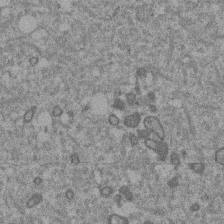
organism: Mouse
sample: Dividing mouse embryo 1 cell stage